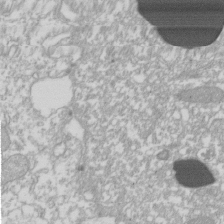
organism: Xenopus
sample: Cilia; centrioles in frog embryo cells